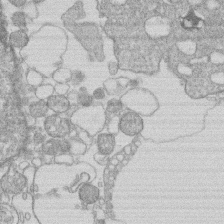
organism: Human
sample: Macrophage cells